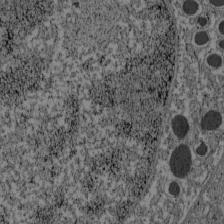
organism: C57BL Mouse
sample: Pancreatic islet